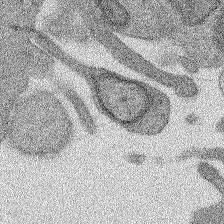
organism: Human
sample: HeLa cells